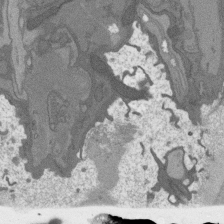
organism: C. elegans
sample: AFD neurons C. elegans